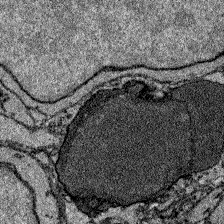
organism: Zebrafish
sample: Larval olfactory bulb